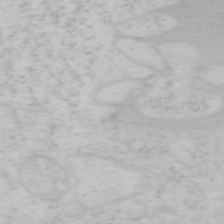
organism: Mouse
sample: OT-I killer T cells with ID8 ovarian cancer cells